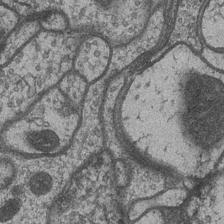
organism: Drosophila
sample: Optic medulla